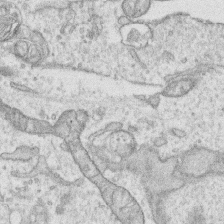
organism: Human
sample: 1205lu cells